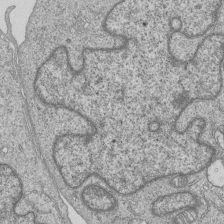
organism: Human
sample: MDA-MB-231 cells